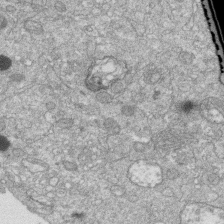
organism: Human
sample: HeLa cell HIV synapse